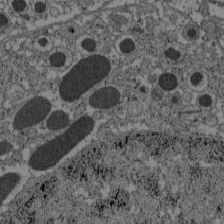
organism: C57BL Mouse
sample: Pancreatic islet